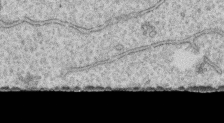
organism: Human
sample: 1205lu cells